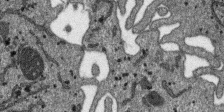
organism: Human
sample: Lung epithelial cells infected with SARS-CoV-2